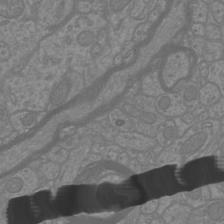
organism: Mouse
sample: Cortical neurons